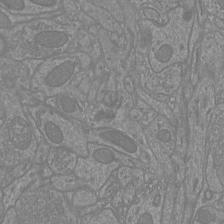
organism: Mouse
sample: Cortical neurons